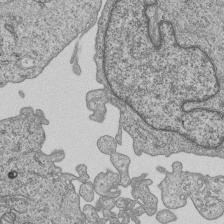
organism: Human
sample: MDA-MB-231 cells